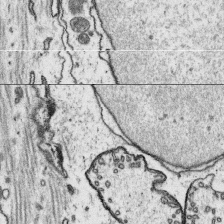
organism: Platynereis dumerilii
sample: Parapodia